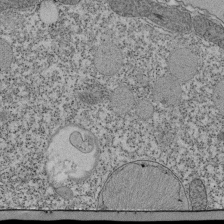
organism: Tetrahymena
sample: Cilia in tetrahymena